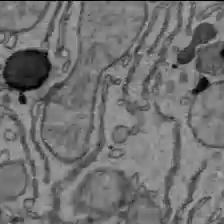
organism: C57BL Mouse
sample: Liver